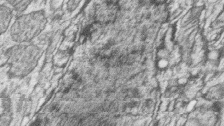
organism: Zebrafish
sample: synaptic ribbons in rod cells and cone cells